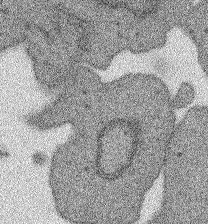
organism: Human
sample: HeLa cells